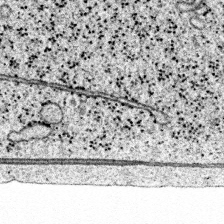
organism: Human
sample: HeLa cells